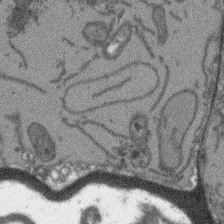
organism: Arabidopsis thaliana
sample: Root tip